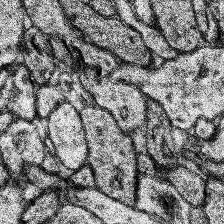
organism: Human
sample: Temporal Lobe